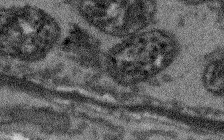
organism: Arabidopsis thaliana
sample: Root tip